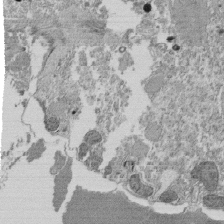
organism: Tetrahymena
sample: Cilia in tetrahymena